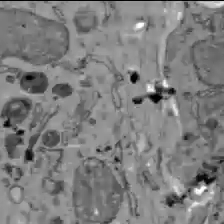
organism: C57BL Mouse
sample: Liver